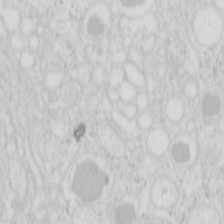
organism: Mouse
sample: Pancreas